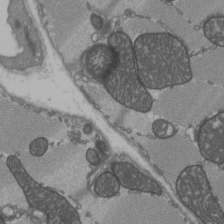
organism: C57BL Mouse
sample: Heart